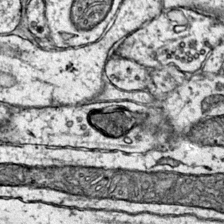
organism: Mouse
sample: Primary visual cortex